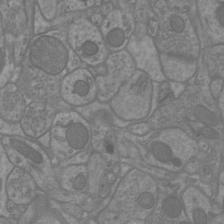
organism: Mouse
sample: Cortical neurons